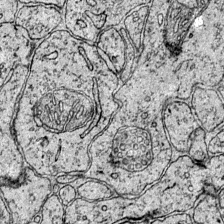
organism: Mouse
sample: Primary visual cortex